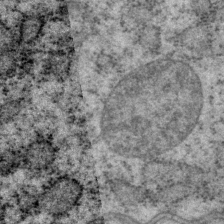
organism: P. pacificus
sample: Pharynx